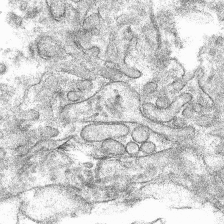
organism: Mouse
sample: Mouse hepatocytes